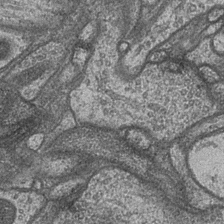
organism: Drosophila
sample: Optic medulla